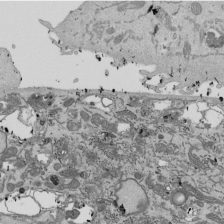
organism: Mouse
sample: ED-1 cell nuclei; centrioles